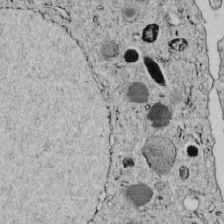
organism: C. elegans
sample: C. elegans embryo early stage